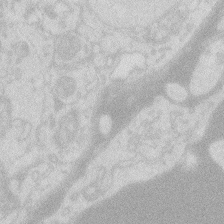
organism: Zebrafish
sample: Macrophage